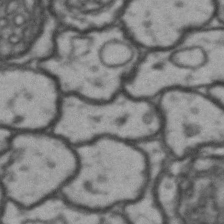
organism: Drosophila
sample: Brain